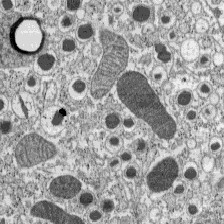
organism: C57BL Mouse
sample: Pancreatic islet